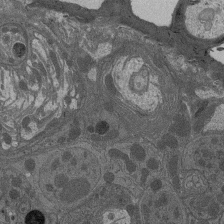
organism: Drosophila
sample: Antenna